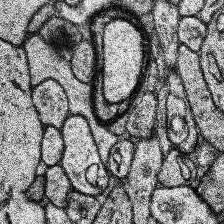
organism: Human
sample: Temporal Lobe